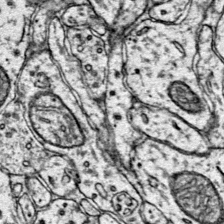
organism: Mouse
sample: Primary visual cortex